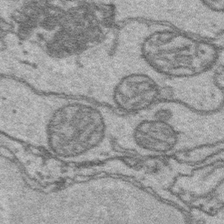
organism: Platynereis dumerilii